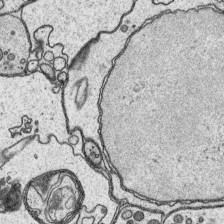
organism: Platynereis dumerilii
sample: Parapodia